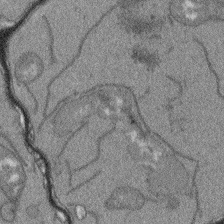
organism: Arabidopsis thaliana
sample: Root tip